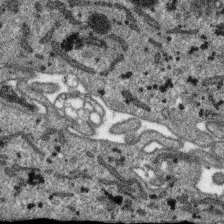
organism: Human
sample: Lung epithelial cells infected with SARS-CoV-2